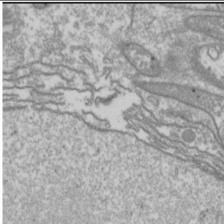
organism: Drosophila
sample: Cell division; meiosis; drosophila spermatocytes